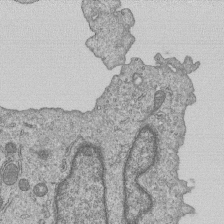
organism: Human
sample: MDA-MB-231 cells